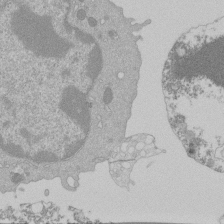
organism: Mouse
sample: Activated Pmel transgenic CD8+ T Cells